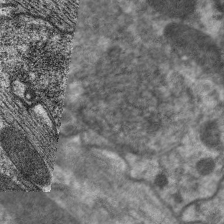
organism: C. elegans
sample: Pharynx